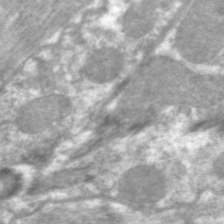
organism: C. elegans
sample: Pharynx